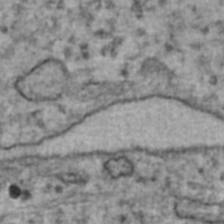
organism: Human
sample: Blood